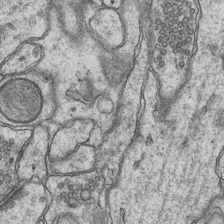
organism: Mouse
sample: CA1 Hippocampus